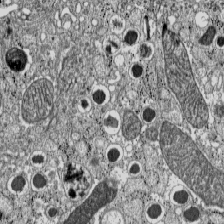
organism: C57BL Mouse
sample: Pancreatic islet